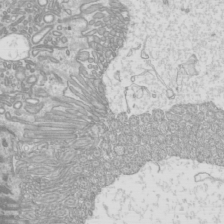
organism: Mouse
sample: Cilia; mouse epididymis